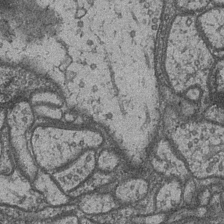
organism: Drosophila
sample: Optic medulla